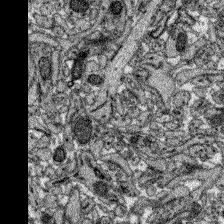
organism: Zebrafish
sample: Larval olfactory bulb